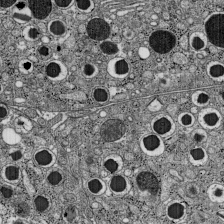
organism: C57BL Mouse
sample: Pancreatic islet